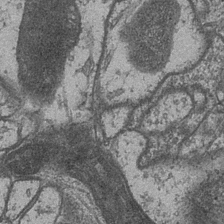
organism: Drosophila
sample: Optic medulla